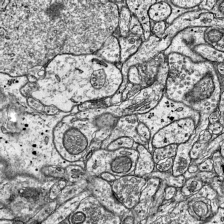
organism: Mouse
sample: Visual Cortex